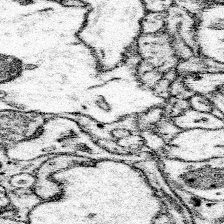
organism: Mouse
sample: Somatosensory cortex neuropil